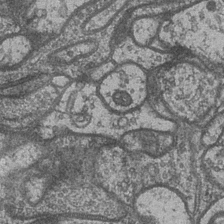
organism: Drosophila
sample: Optic medulla